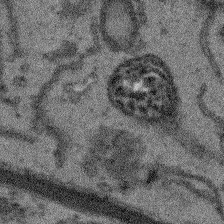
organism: Arabidopsis thaliana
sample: Root tip